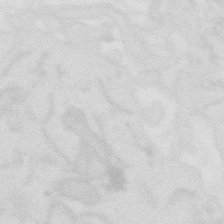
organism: Human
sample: HeLa cells